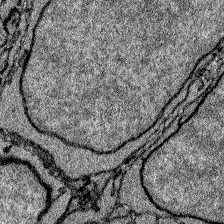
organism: Zebrafish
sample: Larval olfactory bulb